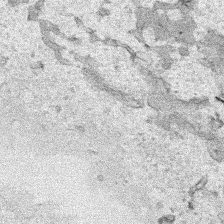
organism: Human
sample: Mitochondria in HCT116 cells